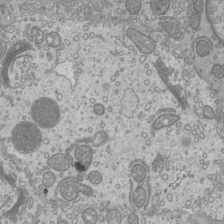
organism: Mouse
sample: Cilia; mouse epididymis